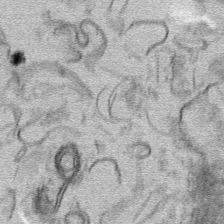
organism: Mouse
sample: Mouse hepatocytes